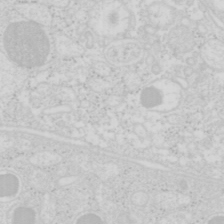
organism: Mouse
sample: Pancreas